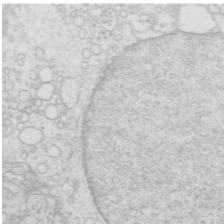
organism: Mouse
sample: Multiciliated cells